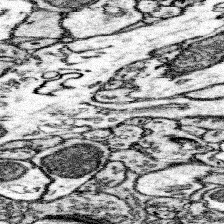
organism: Mouse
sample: Somatosensory cortex neuropil